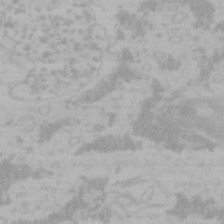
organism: Mouse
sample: Choroid plexus